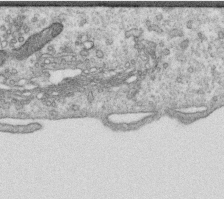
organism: Human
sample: Centriole in RPE cells